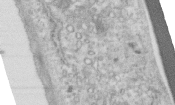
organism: Human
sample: Centriole in RPE cells